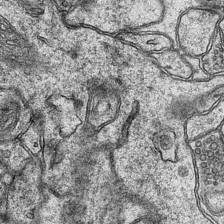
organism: Mouse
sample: CA1 Hippocampus